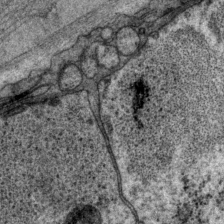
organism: P. pacificus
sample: Pharynx